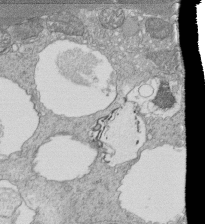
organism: Tetrahymena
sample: Cilia in tetrahymena